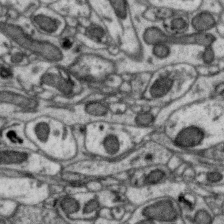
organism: Zebra finch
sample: Brain